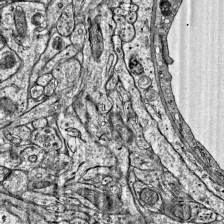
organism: Mouse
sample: Visual Cortex